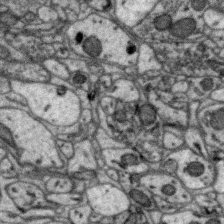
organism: Zebra finch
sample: Brain